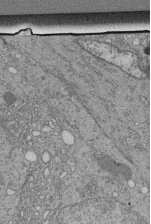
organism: Human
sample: Retinal organoid Rod and Cone cells